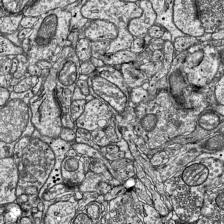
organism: Mouse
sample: Visual Cortex